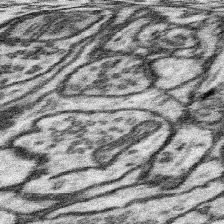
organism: Mouse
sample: Somatosensory cortex neuropil